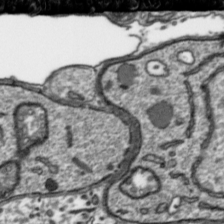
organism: Toxoplasma gondii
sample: Parasites in a vacuole inside a host cell